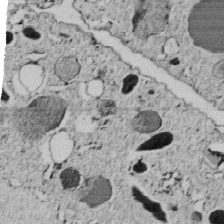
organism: C. elegans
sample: C. elegans embryo early stage